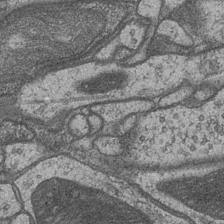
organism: Drosophila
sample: Optic medulla